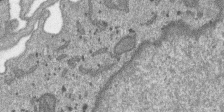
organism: Human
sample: Lung epithelial cells infected with SARS-CoV-2